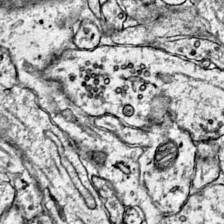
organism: Mouse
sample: Primary visual cortex